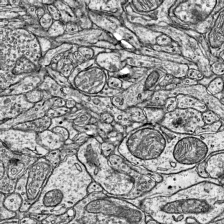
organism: Mouse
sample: Visual Cortex